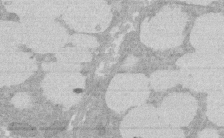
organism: Rat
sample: Salivary granule